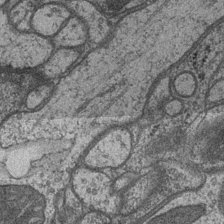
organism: Drosophila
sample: Optic medulla